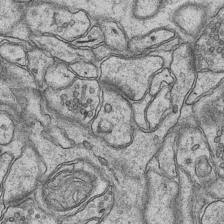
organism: Mouse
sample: CA1 Hippocampus